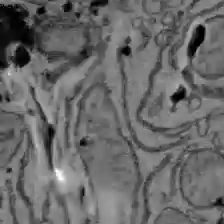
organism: C57BL Mouse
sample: Liver